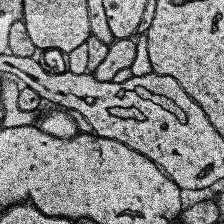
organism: Human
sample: Temporal Lobe